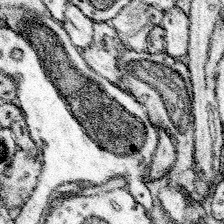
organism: Mouse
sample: Somatosensory cortex neuropil